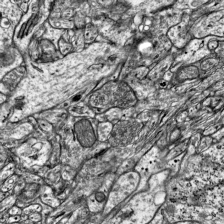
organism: Mouse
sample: Visual Cortex